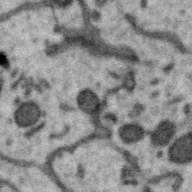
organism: Zebra finch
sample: Brain